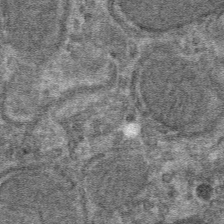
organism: Mouse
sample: Mouse hepatocytes